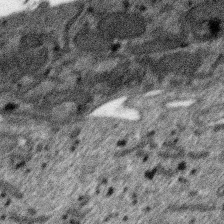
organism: Human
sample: Lung epithelial cells infected with SARS-CoV-2